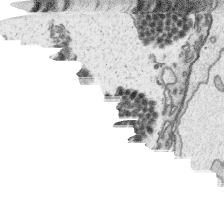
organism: Platynereis dumerilii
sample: Parapodia